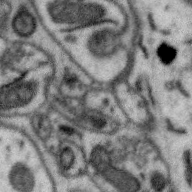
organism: Zebra finch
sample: Brain